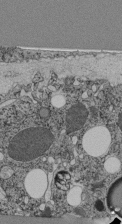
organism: C. elegans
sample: C. elegans pharynx